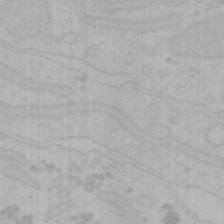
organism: Mouse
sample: Choroid plexus